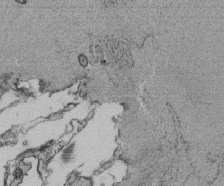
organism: Tetrahymena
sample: Cilia in tetrahymena